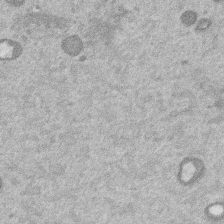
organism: Mouse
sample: Dividing mouse embryo 1 cell stage